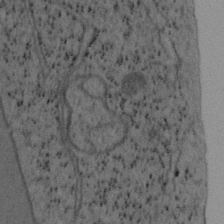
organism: Human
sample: HeLa cells